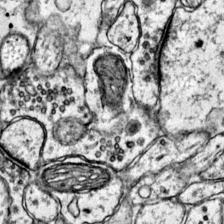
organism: Mouse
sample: Primary visual cortex